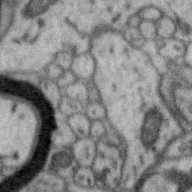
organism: Zebra finch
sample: Brain